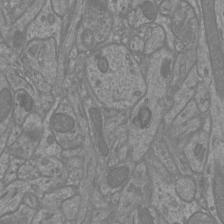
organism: Mouse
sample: Cortical neurons